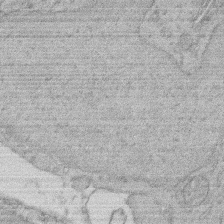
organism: Rat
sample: Salivary granule